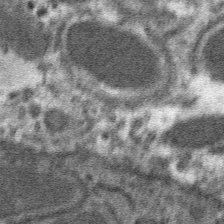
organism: Mouse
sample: Mouse hepatocytes